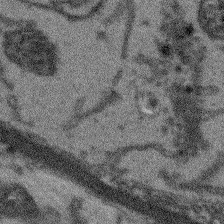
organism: Arabidopsis thaliana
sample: Root tip